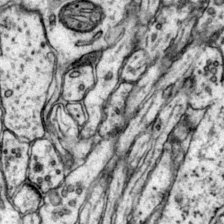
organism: Mouse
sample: Primary visual cortex